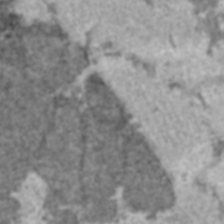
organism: C57BL Mouse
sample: Heart